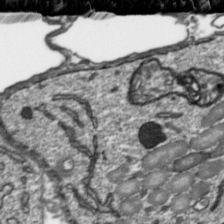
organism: Toxoplasma gondii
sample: Parasites in a vacuole inside a host cell